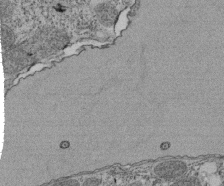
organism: Tetrahymena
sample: Cilia in tetrahymena